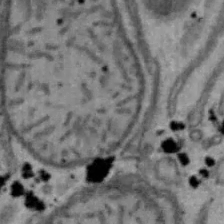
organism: Mouse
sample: Liver